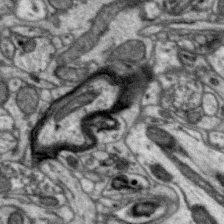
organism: Zebra finch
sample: Brain